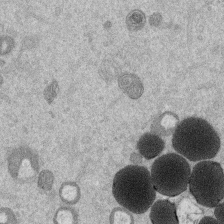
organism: Mouse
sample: Dividing mouse embryo 1 cell stage